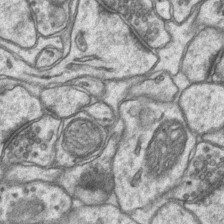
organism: Mouse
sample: CA1 Hippocampus